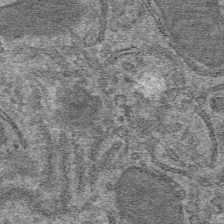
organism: Mouse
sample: Mouse hepatocytes